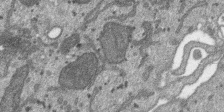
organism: Human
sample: Lung epithelial cells infected with SARS-CoV-2